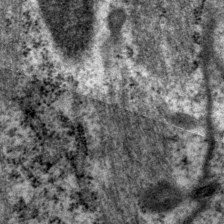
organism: P. pacificus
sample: Pharynx